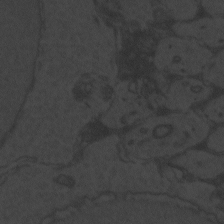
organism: Zebrafish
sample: Macrophage infected with Toxoplasma gondii